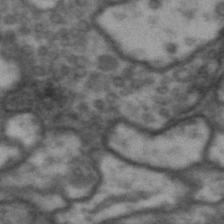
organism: Drosophila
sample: Brain